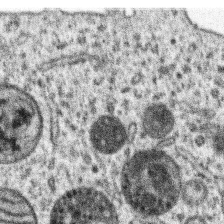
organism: Human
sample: HeLa cells